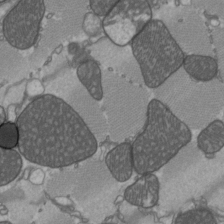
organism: C57BL Mouse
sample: Heart